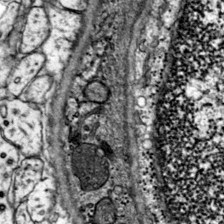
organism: Mouse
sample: Primary visual cortex